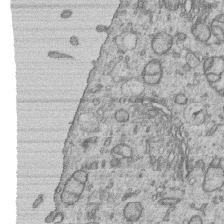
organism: Human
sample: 1205lu cells